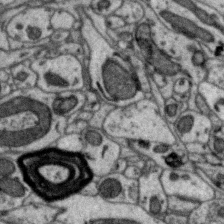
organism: Zebra finch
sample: Brain